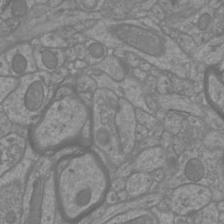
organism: Mouse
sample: Cortical neurons